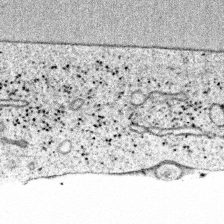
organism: Human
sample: HeLa cells